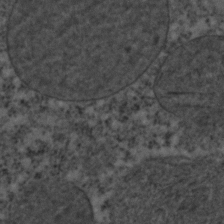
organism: C. elegans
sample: C. elegans embryo